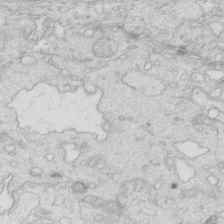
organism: Mouse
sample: Multiciliated cells